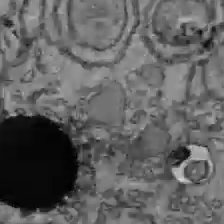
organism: C57BL Mouse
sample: Liver